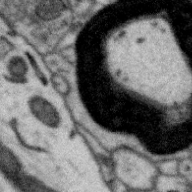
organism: Zebra finch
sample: Brain